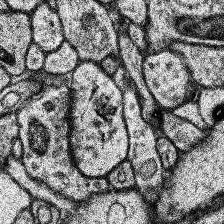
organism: Human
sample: Temporal Lobe